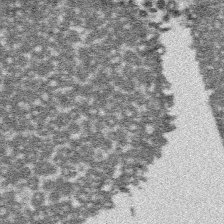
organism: Platynereis dumerilii